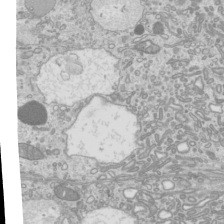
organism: Mouse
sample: Cilia; mouse epididymis